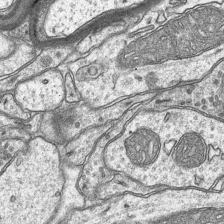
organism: Mouse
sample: CA1 Hippocampus